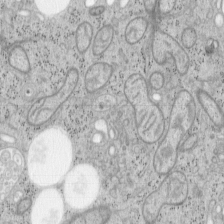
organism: Mouse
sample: OT-I killer T cells with ID8 ovarian cancer cells